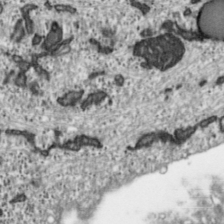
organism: Toxoplasma gondii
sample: Parasites in a vacuole inside a host cell